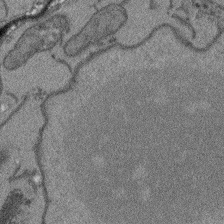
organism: Arabidopsis thaliana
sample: Root tip